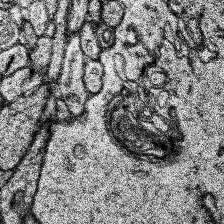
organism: Human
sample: Temporal Lobe